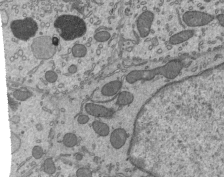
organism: Mouse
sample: Mouse epididymis efferent ductule cilia